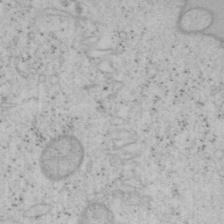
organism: Human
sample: HeLa cells